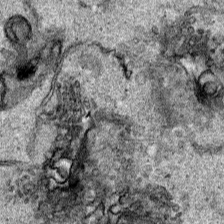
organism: Human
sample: Mitochondria in HCT116 cells